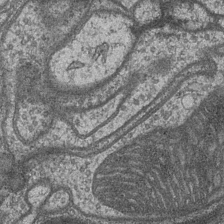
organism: Drosophila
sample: Optic medulla